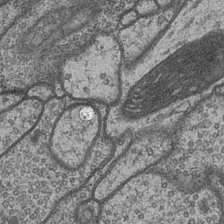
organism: Drosophila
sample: Optic medulla